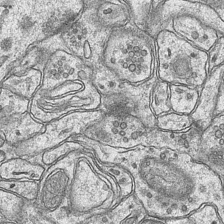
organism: Mouse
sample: CA1 Hippocampus